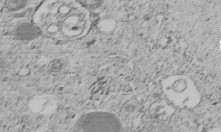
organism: C. elegans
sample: C. elegans embryo early stage